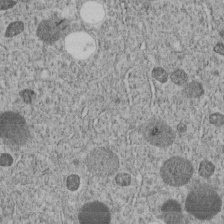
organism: C. elegans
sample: C. elegans embryo early stage